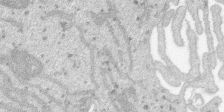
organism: Human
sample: Lung epithelial cells infected with SARS-CoV-2